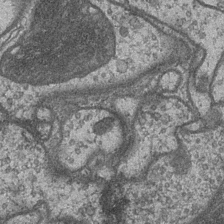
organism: Drosophila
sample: Optic medulla